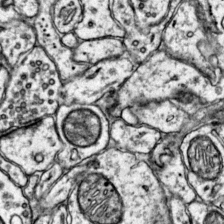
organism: Mouse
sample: Primary visual cortex